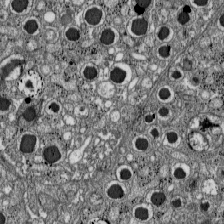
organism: C57BL Mouse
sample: Pancreatic islet